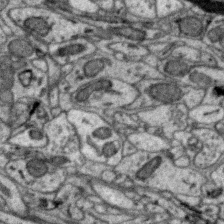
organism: Zebra finch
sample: Brain